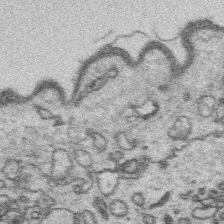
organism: Platynereis dumerilii